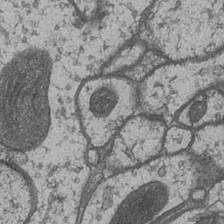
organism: Drosophila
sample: Optic medulla